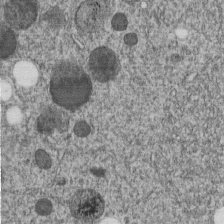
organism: C. elegans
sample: C. elegans embryo early stage